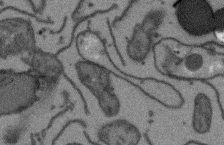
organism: Arabidopsis thaliana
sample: Root tip